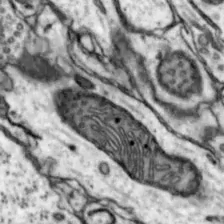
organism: Mouse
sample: Nucleus accumbens